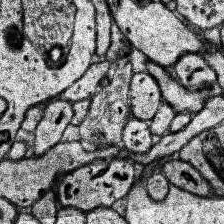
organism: Human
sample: Temporal Lobe